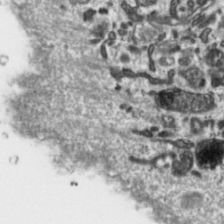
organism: Toxoplasma gondii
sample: Parasites in a vacuole inside a host cell